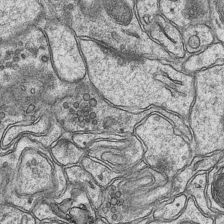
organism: Mouse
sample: CA1 Hippocampus